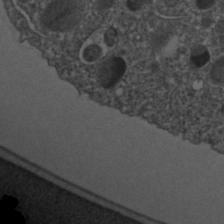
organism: C. elegans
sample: C. elegans embryo